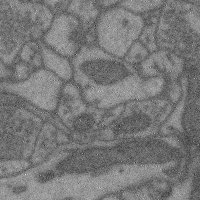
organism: Mouse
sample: Cerebral cortex